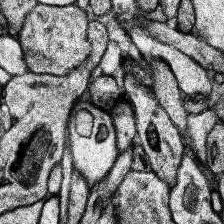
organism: Human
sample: Temporal Lobe